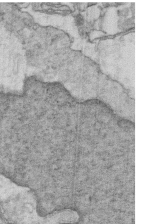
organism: Mouse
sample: Multiciliated cells